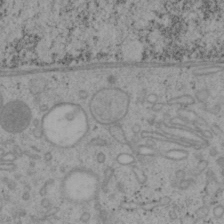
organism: Human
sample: HeLa cells